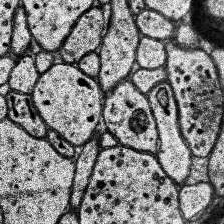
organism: Human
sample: Temporal Lobe